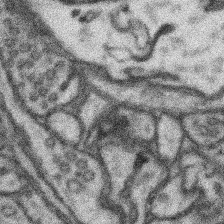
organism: Mouse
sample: Somatosensory cortex neuropil